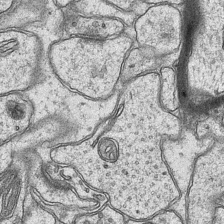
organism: Mouse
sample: CA1 Hippocampus